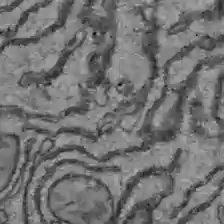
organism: C57BL Mouse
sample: Liver